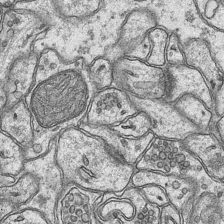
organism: Mouse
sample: CA1 Hippocampus